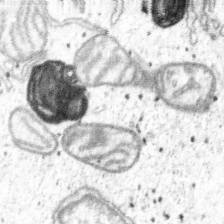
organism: Human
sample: HeLa cells